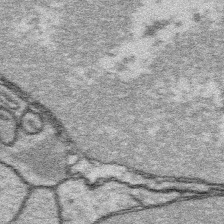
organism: Platynereis dumerilii